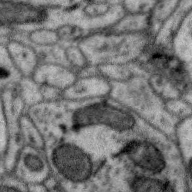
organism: Zebra finch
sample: Brain